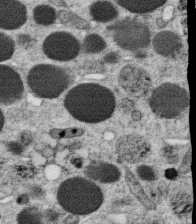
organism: C. elegans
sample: C. elegans oocyte; sperm cells